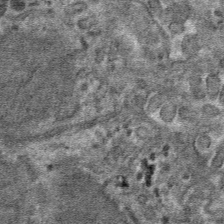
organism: Mouse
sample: Mouse hepatocytes